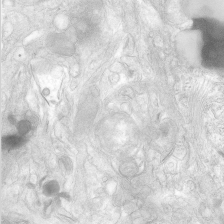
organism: Human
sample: Neocortex